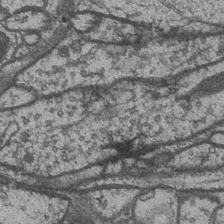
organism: Drosophila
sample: Optic medulla